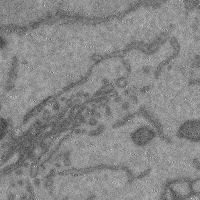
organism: Mouse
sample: Cerebral cortex